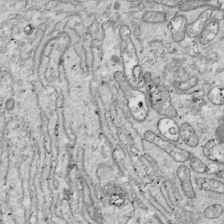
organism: Drosophila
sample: Cell division; meiosis; drosophila spermatocytes